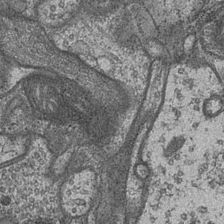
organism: Drosophila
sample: Optic medulla